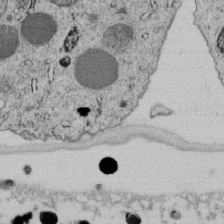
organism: C. elegans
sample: C. elegans embryo early stage